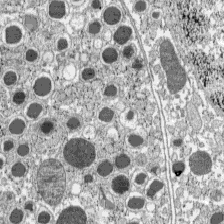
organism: C57BL Mouse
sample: Pancreatic islet